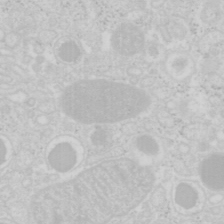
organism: Mouse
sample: Pancreas